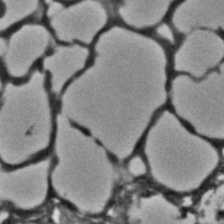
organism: C. elegans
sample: C. elegans embryo